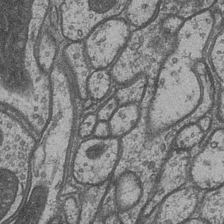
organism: Drosophila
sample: Optic medulla